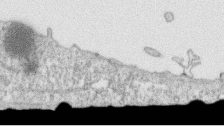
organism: Human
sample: HeLa cell HIV synapse